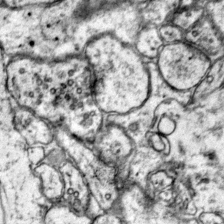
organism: Mouse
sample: Primary visual cortex